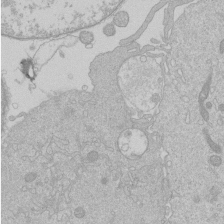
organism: Human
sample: Macrophage cells